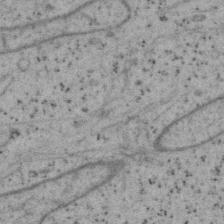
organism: Human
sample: HeLa cells